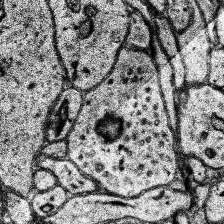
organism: Human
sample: Temporal Lobe